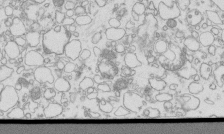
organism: Mouse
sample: Macrophages